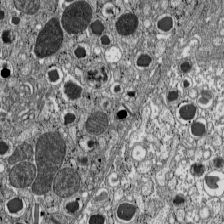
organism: C57BL Mouse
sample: Pancreatic islet